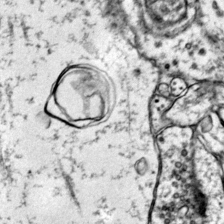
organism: Mouse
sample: Primary visual cortex